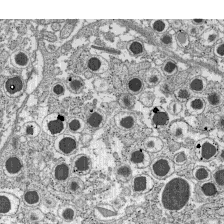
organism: C57BL Mouse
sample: Pancreatic islet